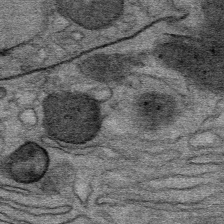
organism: Mouse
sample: Mouse Salivary gland